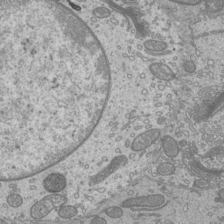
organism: Mouse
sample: Cilia; mouse epididymis